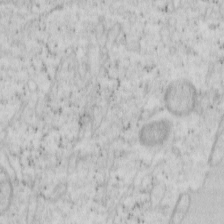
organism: Human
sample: HeLa cells